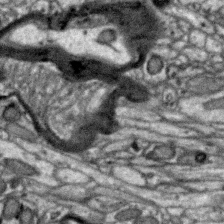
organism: Zebra finch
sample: Brain